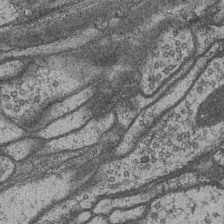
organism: Drosophila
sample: Optic medulla